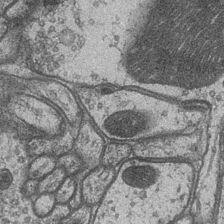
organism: Drosophila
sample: Optic medulla